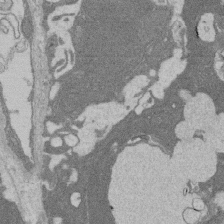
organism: Rat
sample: Salivary granule